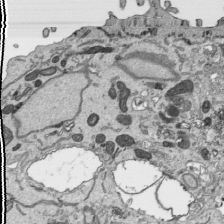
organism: Human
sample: Mitochondria in HCT116 cells